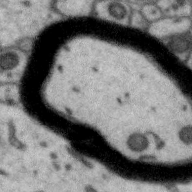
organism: Zebra finch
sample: Brain